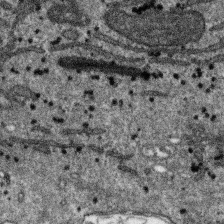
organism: Human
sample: Lung epithelial cells infected with SARS-CoV-2